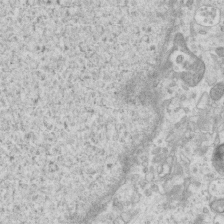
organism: Mouse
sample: Centriole in ependymal cells